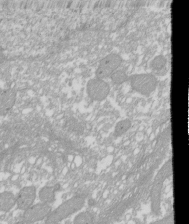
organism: Xenopus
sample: Cilia; centrioles in frog embryo cells